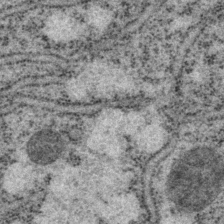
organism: P. pacificus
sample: Pharynx